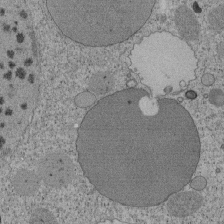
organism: Tetrahymena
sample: Cilia in tetrahymena